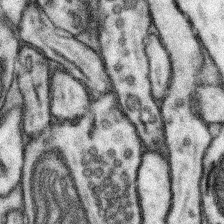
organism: Mouse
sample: Somatosensory cortex neuropil